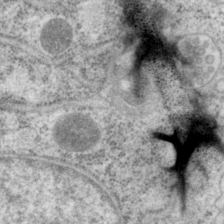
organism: P. pacificus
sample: Pharynx